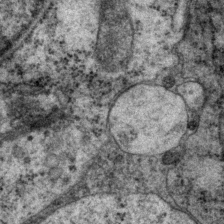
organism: P. pacificus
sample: Pharynx